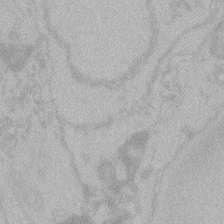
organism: Zebrafish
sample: Macrophage infected with Toxoplasma gondii